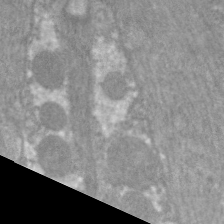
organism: C. elegans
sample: Pharynx